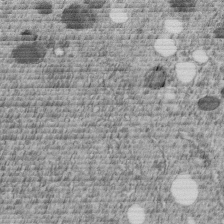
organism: C. elegans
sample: C. elegans embryo early stage